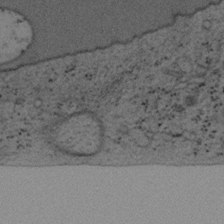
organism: Human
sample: HeLa cells